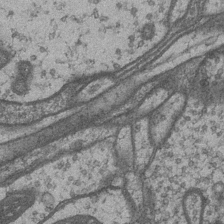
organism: Drosophila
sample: Optic medulla